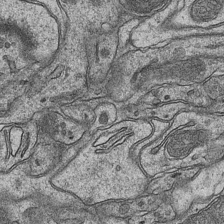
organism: Mouse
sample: CA1 Hippocampus